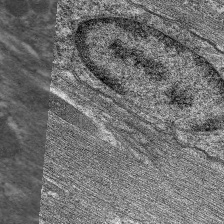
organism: C. elegans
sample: Pharynx